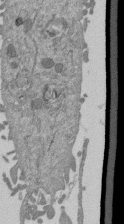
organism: Mouse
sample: ED-1 cell nuclei; centrioles